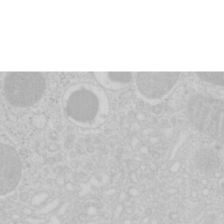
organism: Mouse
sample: Pancreas